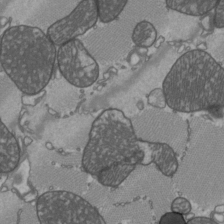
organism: C57BL Mouse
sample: Heart